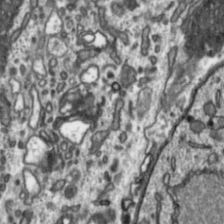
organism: Toxoplasma gondii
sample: Parasites in a vacuole inside a host cell